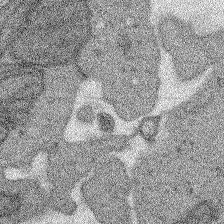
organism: Human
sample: HeLa cells